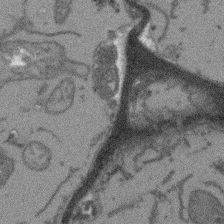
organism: Arabidopsis thaliana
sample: Root tip